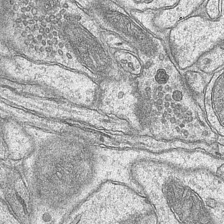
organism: Mouse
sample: CA1 Hippocampus